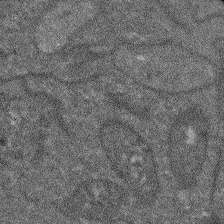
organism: Arabidopsis thaliana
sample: Root tip